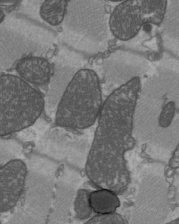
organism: C57BL Mouse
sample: Heart